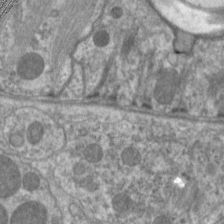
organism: C. elegans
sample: Pharynx